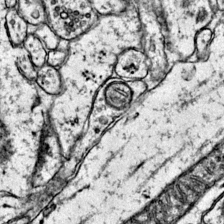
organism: Mouse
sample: Primary visual cortex